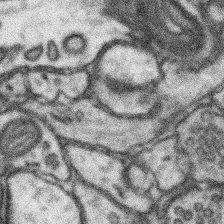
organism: Mouse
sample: Somatosensory cortex neuropil